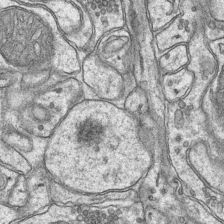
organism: Mouse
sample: CA1 Hippocampus